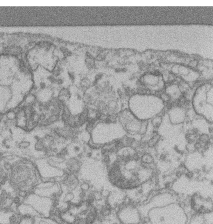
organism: Mouse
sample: T cell stromal cell synapse